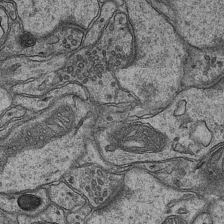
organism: Mouse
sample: CA1 Hippocampus